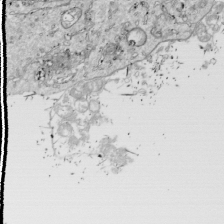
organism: Drosophila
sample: Cell division; meiosis; drosophila spermatocytes